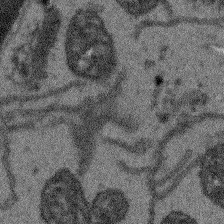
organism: Arabidopsis thaliana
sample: Root tip